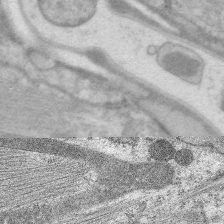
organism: C. elegans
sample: Pharynx